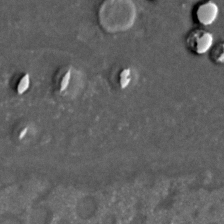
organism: C. elegans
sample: C. elegans embryo